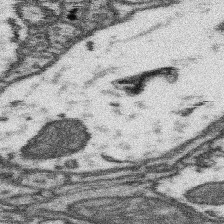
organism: Mouse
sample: Somatosensory cortex neuropil